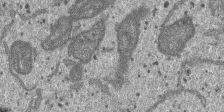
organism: Human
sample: Lung epithelial cells infected with SARS-CoV-2